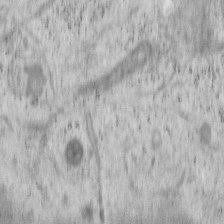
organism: Human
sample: HeLa cells